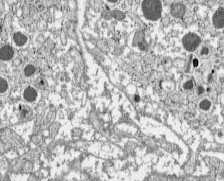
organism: C57BL Mouse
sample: Pancreatic islet